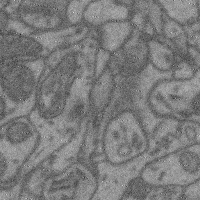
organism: Mouse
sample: Cerebral cortex